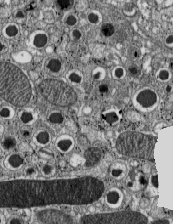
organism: C57BL Mouse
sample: Pancreatic islet